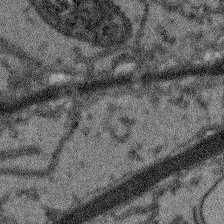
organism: Arabidopsis thaliana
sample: Root tip